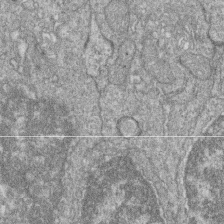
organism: Zebrafish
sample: Cilia; retinal pigment epithelium